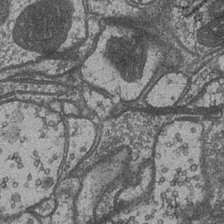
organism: Drosophila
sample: Optic medulla